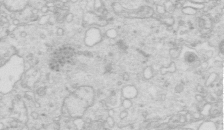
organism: Mouse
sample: Multiciliated cells